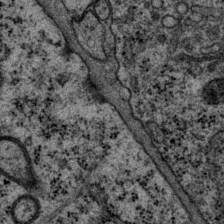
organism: P. pacificus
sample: Pharynx